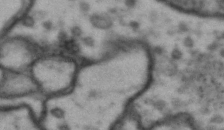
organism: Drosophila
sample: Brain